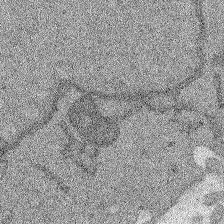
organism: Human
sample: HeLa cells